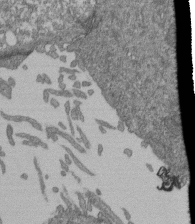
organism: Human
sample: Retinal organoid Rod and Cone cells